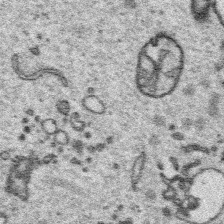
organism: Platynereis dumerilii